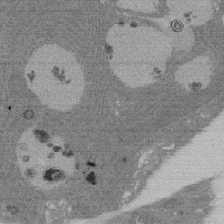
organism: Rat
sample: Salivary granule